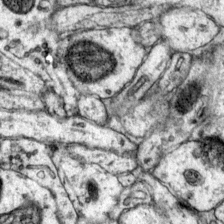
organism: Mouse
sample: Primary visual cortex